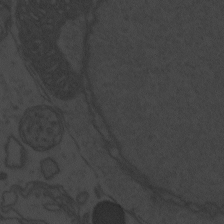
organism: Zebrafish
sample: Macrophage infected with Toxoplasma gondii